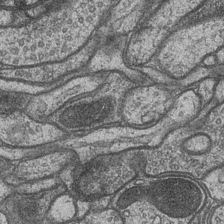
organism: Drosophila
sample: Optic medulla